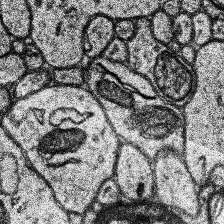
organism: Human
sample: Temporal Lobe